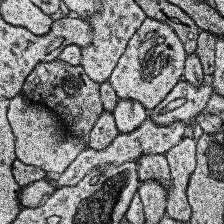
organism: Human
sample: Temporal Lobe